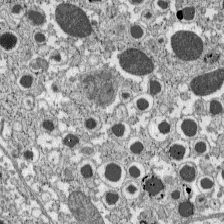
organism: C57BL Mouse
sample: Pancreatic islet